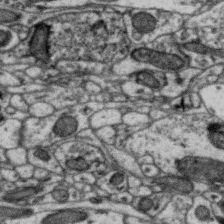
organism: Zebra finch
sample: Brain